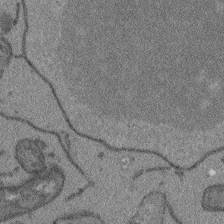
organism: Arabidopsis thaliana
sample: Root tip